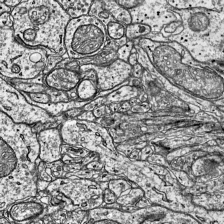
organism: Mouse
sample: Visual Cortex